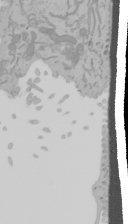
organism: Mouse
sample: Cancer cell death in ED-1 cells